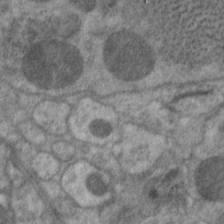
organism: C. elegans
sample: Pharynx